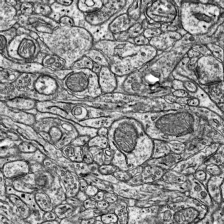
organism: Mouse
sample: Visual Cortex